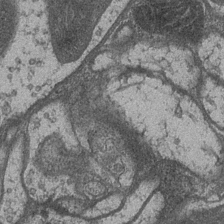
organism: Drosophila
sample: Optic medulla